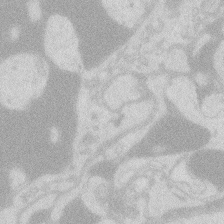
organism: Zebrafish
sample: Macrophage